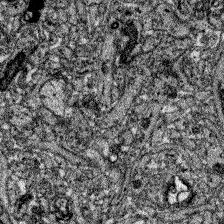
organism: Zebrafish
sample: Larval olfactory bulb